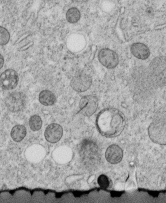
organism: C. elegans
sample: C. elegans embryo early stage